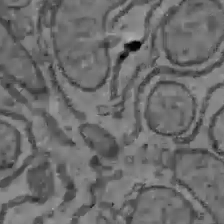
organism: C57BL Mouse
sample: Liver